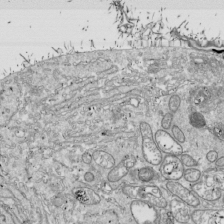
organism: Drosophila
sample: Cell division; meiosis; drosophila spermatocytes